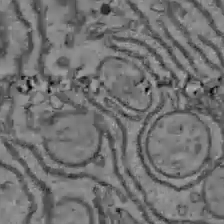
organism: C57BL Mouse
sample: Liver